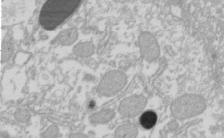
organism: Xenopus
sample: Cilia; centrioles in frog embryo cells